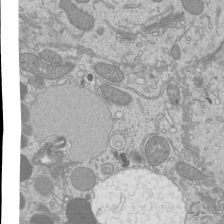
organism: Mouse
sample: Cilia; mouse epididymis